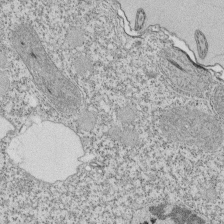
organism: Tetrahymena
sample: Cilia in tetrahymena